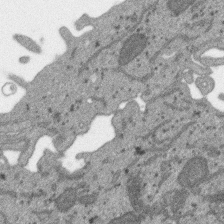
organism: Human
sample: Lung epithelial cells infected with SARS-CoV-2